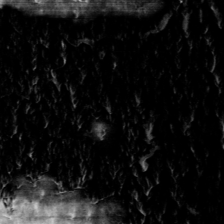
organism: Toxoplasma gondii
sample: Parasites in a vacuole inside a host cell